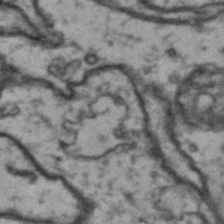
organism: Drosophila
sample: Brain